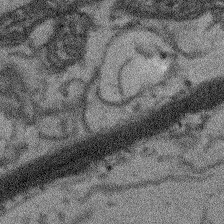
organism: Arabidopsis thaliana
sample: Root tip